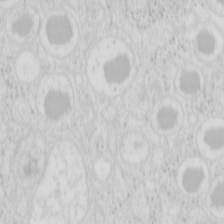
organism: Mouse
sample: Pancreas